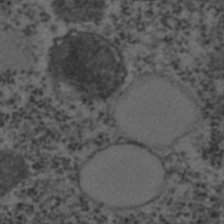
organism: C. elegans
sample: C. elegans embryo